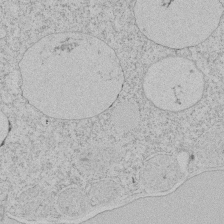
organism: Tetrahymena